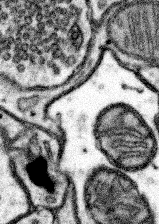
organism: Mouse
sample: Somatosensory cortex neuropil